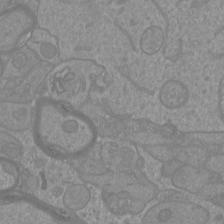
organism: Mouse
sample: Cortical neurons